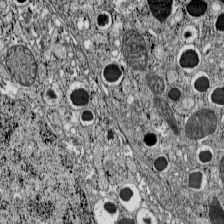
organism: C57BL Mouse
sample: Pancreatic islet